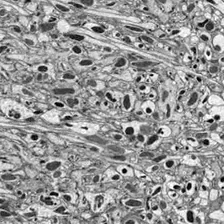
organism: Drosophila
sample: Optic lobe